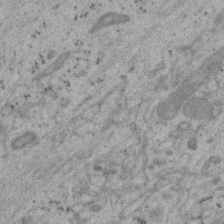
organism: Human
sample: HeLa cells